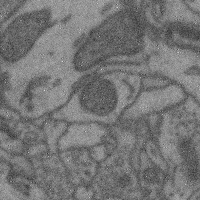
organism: Mouse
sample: Cerebral cortex